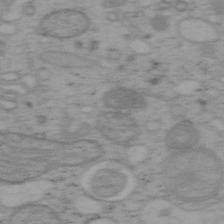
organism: Mouse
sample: OT-I killer T cells with ID8 ovarian cancer cells